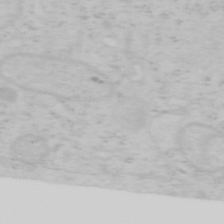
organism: Mouse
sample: OT-I killer T cells with ID8 ovarian cancer cells